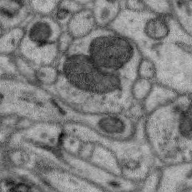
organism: Zebra finch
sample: Brain